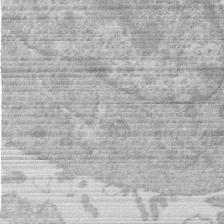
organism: Human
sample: Macrophage cells